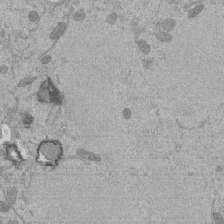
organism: Mouse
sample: ED-1 cell nuclei; centrioles